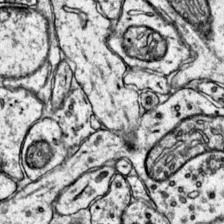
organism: Mouse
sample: Primary visual cortex